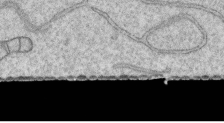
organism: Human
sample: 1205lu cells